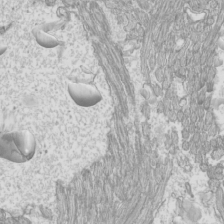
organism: Mouse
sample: Cilia; mouse epididymis